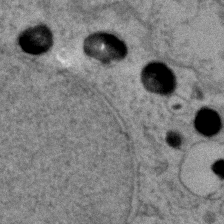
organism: Zebrafish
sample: Zebrafish embryo